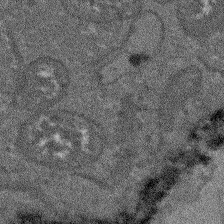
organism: Arabidopsis thaliana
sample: Root tip